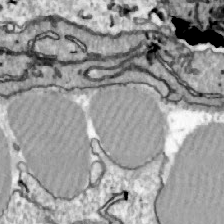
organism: Zebrafish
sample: Actinotrichia fibers